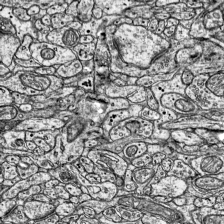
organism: Mouse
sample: Visual Cortex